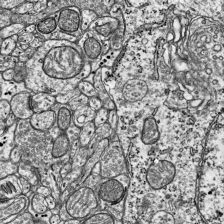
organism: Mouse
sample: Visual Cortex